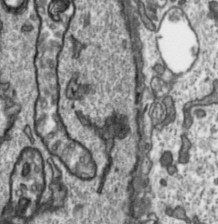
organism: Toxoplasma gondii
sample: Parasites in a vacuole inside a host cell